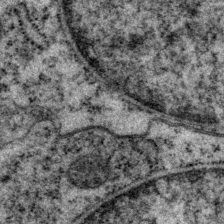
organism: P. pacificus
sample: Pharynx